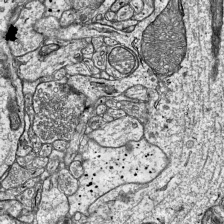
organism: Mouse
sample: Visual Cortex